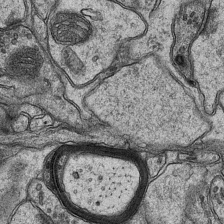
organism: Mouse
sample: CA1 Hippocampus